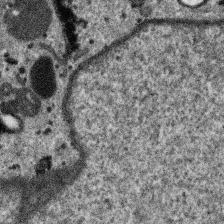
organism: Human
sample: Lung epithelial cells infected with SARS-CoV-2